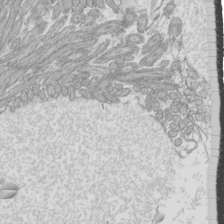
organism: Mouse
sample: Cilia; mouse epididymis